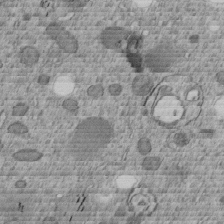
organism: C. elegans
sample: C. elegans embryo early stage